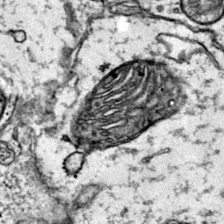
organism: Mouse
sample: Primary visual cortex